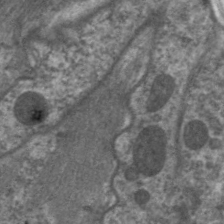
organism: C. elegans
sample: Pharynx